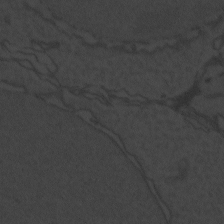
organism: Zebrafish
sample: Macrophage infected with Toxoplasma gondii